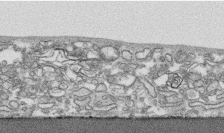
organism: Human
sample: CRL-1474